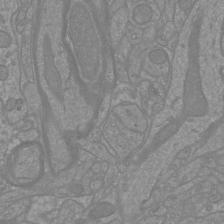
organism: Mouse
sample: Cortical neurons